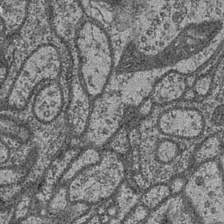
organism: Drosophila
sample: Optic medulla